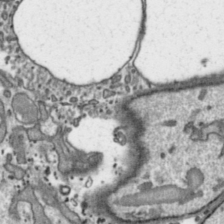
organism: Toxoplasma gondii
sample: Parasites in a vacuole inside a host cell